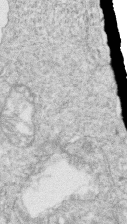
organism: Human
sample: HeLa cell HIV synapse